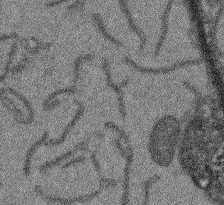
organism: Arabidopsis thaliana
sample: Root tip